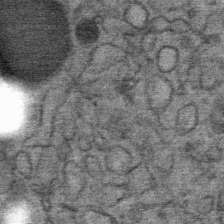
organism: Mouse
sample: Mouse Salivary gland